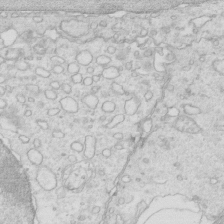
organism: Mouse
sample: Multiciliated cells